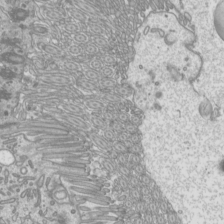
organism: Mouse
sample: Cilia; mouse epididymis